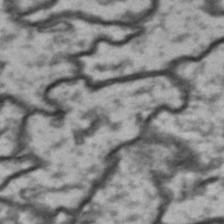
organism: Drosophila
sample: Brain